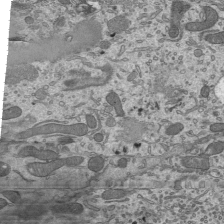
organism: Mouse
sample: Mouse epididymis efferent ductule cilia